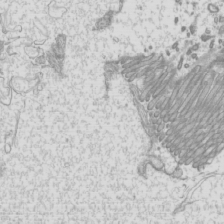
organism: Mouse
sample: Cilia; mouse epididymis